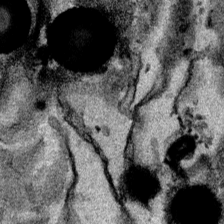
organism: Mouse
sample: Cancer cell death in ED-1 cells